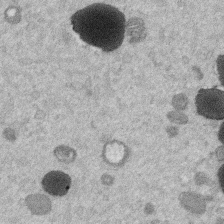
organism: Mouse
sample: Dividing mouse embryo 1 cell stage